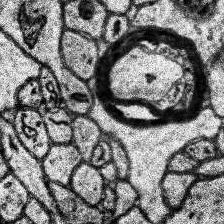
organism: Human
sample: Temporal Lobe